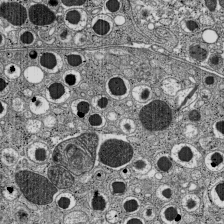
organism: C57BL Mouse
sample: Pancreatic islet